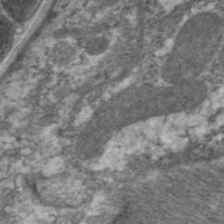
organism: C. elegans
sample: Pharynx